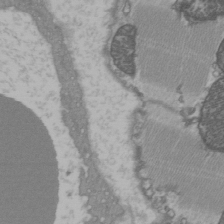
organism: C57BL Mouse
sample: Heart